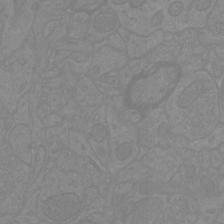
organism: Mouse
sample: Cortical neurons